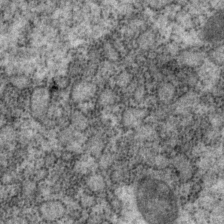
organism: P. pacificus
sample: Pharynx